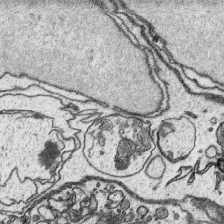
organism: Platynereis dumerilii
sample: Parapodia